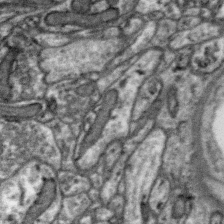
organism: Zebra finch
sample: Brain